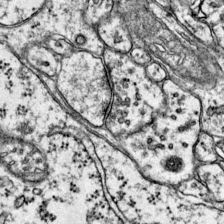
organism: Mouse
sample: Primary visual cortex